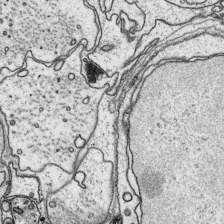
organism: Platynereis dumerilii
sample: Parapodia